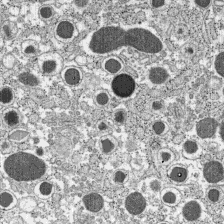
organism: C57BL Mouse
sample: Pancreatic islet